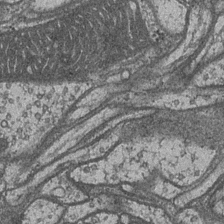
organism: Drosophila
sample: Optic medulla